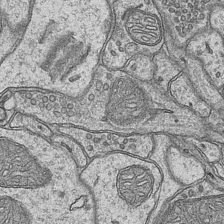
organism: Mouse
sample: CA1 Hippocampus